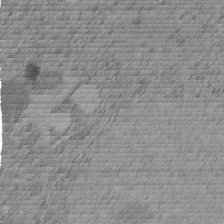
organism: C. elegans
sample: C. elegans embryo early stage